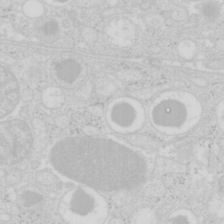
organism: Mouse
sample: Pancreas